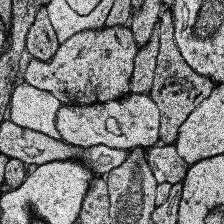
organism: Human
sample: Temporal Lobe